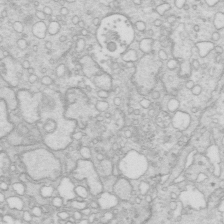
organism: Mouse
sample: Multiciliated cells